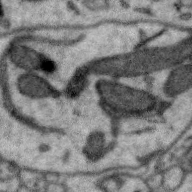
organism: Zebra finch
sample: Brain